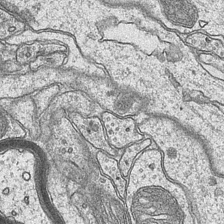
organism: Mouse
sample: CA1 Hippocampus